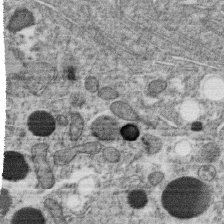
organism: C. elegans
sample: C. elegans oocyte; sperm cells